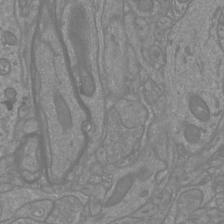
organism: Mouse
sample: Cortical neurons